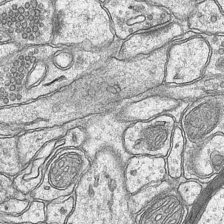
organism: Mouse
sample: CA1 Hippocampus